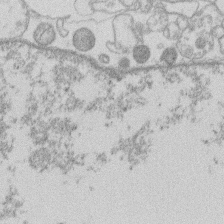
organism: Human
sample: Macrophage cells